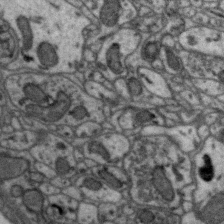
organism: Zebra finch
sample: Brain